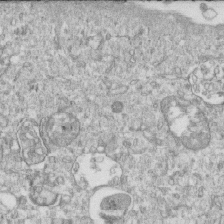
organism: Mouse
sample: Activated OT-1 CD8+ T cells